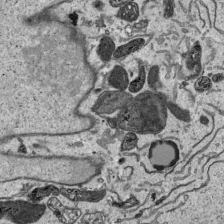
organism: Human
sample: Mitochondria in HCT116 cells